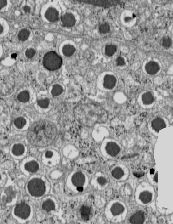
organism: C57BL Mouse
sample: Pancreatic islet